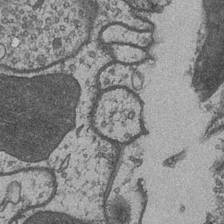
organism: Drosophila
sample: Optic medulla